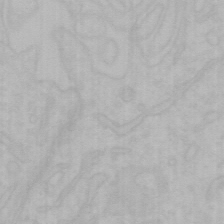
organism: Mouse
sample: Choroid plexus